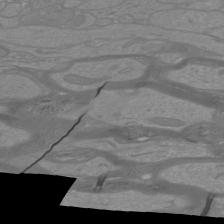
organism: Mouse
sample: Cortical neurons